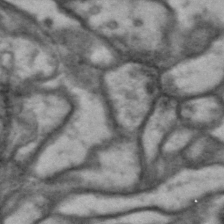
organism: Drosophila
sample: Brain